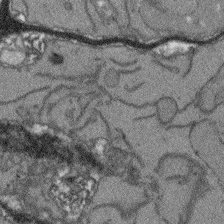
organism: Arabidopsis thaliana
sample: Root tip